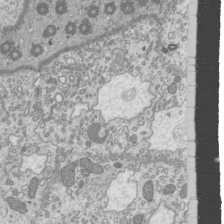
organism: Mouse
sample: Cilia; mouse epididymis